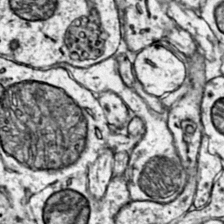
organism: Mouse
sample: Primary visual cortex